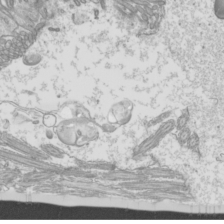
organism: Mouse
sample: Cilia; mouse epididymis